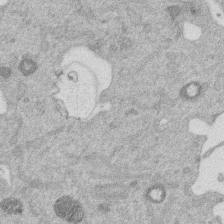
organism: Mouse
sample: Dividing mouse embryo 1 cell stage